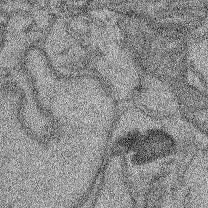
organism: Human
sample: HeLa cells